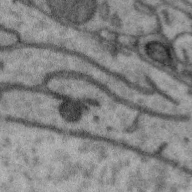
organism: Zebra finch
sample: Brain